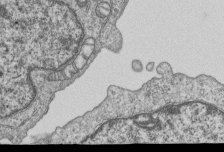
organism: Human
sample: MDA-MB-231 cells